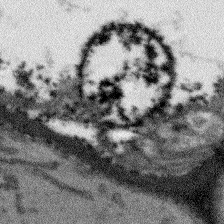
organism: Arabidopsis thaliana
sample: Root tip